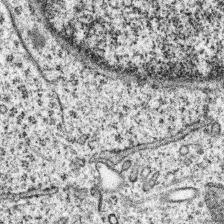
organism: Human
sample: HeLa cells